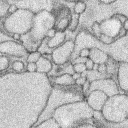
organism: Rabbit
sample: Retina